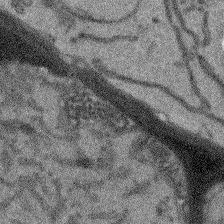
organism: Arabidopsis thaliana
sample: Root tip